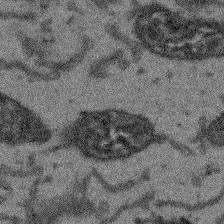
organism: Arabidopsis thaliana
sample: Root tip